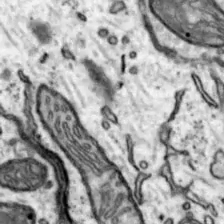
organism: Mouse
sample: Nucleus accumbens